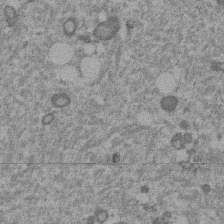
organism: Mouse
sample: Dividing mouse embryo 1 cell stage